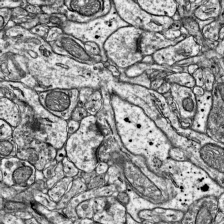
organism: Mouse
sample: Visual Cortex